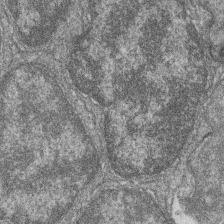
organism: Zebrafish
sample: Cilia; retinal pigment epithelium